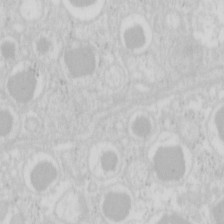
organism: Mouse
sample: Pancreas